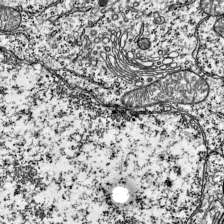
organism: Mouse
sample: Visual Cortex